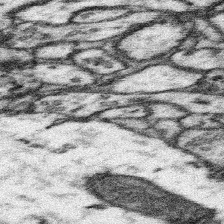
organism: Mouse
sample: Somatosensory cortex neuropil